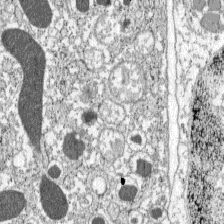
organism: C57BL Mouse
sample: Pancreatic islet